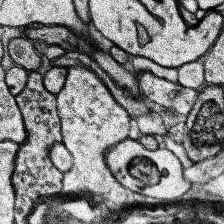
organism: Human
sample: Temporal Lobe